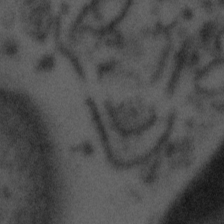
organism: Tuwongella immobilis